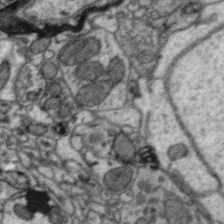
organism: Zebra finch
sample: Brain